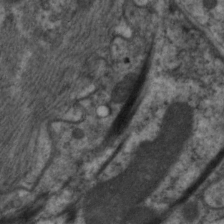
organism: C. elegans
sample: Pharynx